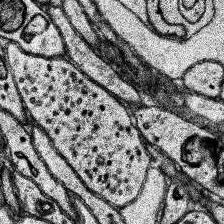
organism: Human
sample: Temporal Lobe